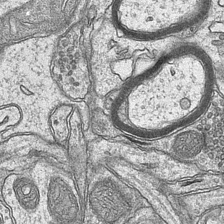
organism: Mouse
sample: CA1 Hippocampus